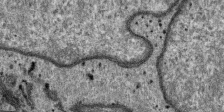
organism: Human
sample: Lung epithelial cells, uninfected (mock) control